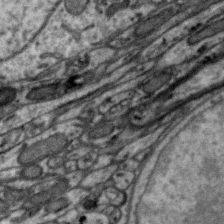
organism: Zebra finch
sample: Brain